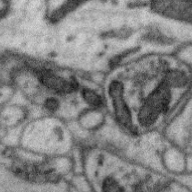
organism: Zebra finch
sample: Brain